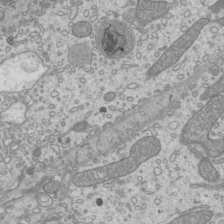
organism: Mouse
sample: Cilia; mouse epididymis